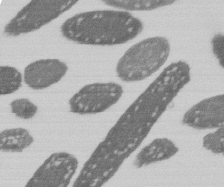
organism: E. coli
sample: Bacterial nucleoid